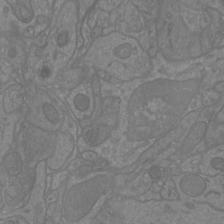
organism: Mouse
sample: Cortical neurons